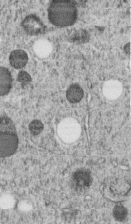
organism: C. elegans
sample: C. elegans embryo early stage